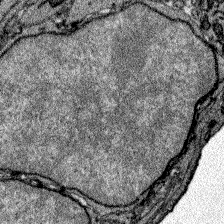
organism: Zebrafish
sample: Larval olfactory bulb